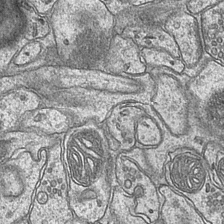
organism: Mouse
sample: CA1 Hippocampus